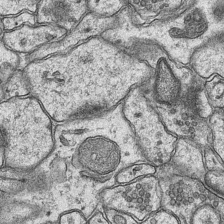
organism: Mouse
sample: CA1 Hippocampus